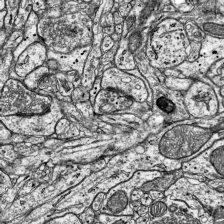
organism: Mouse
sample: Visual Cortex